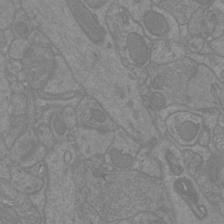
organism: Mouse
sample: Cortical neurons